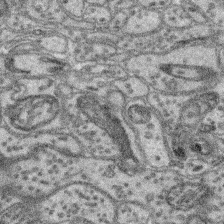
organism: Mouse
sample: Retina